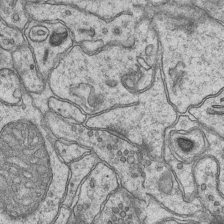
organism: Mouse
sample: CA1 Hippocampus